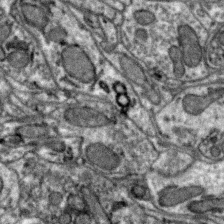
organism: Zebra finch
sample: Brain